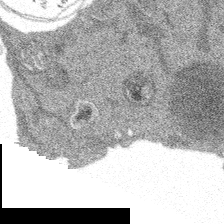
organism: Spongilla lacustris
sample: Multiple